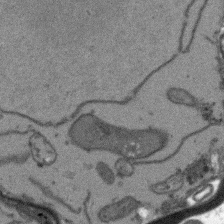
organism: Arabidopsis thaliana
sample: Root tip